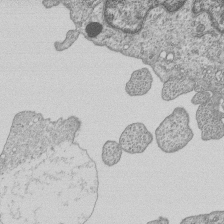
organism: Human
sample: MDA-MB-231 cells